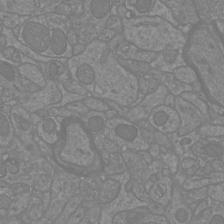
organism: Mouse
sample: Cortical neurons